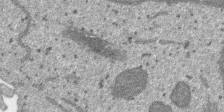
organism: Human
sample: Lung epithelial cells infected with SARS-CoV-2